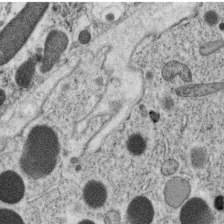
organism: C. elegans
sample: C. elegans oocyte; sperm cells